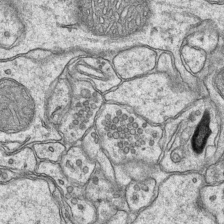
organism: Mouse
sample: CA1 Hippocampus